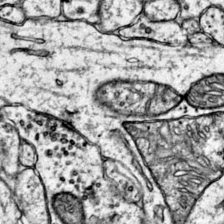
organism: Mouse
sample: Primary visual cortex